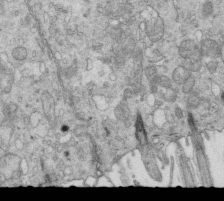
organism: Mouse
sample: Multiciliated cells